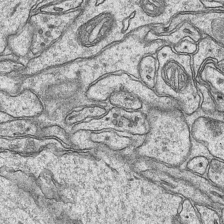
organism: Mouse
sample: CA1 Hippocampus